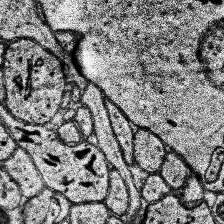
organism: Human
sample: Temporal Lobe